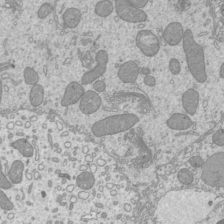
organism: Mouse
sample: Cilia; mouse epididymis